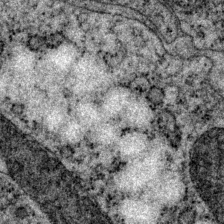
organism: P. pacificus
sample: Pharynx